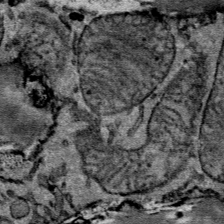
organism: Mouse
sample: Mouse Salivary gland